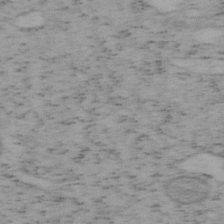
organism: Mouse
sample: OT-I killer T cells with ID8 ovarian cancer cells